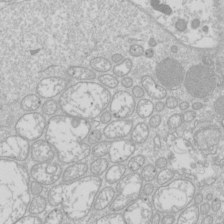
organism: Drosophila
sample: Cell division; meiosis; drosophila spermatocytes